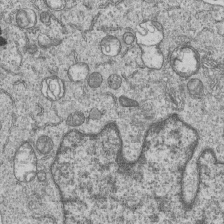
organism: Human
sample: MDA-MB-231 cells